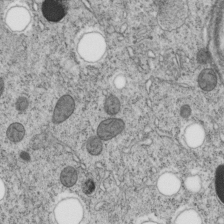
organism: C. elegans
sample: C. elegans embryo early stage